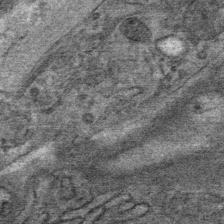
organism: Mouse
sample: Mouse Salivary gland